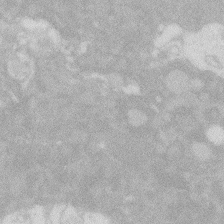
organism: Zebrafish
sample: Macrophage